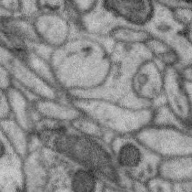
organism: Zebra finch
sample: Brain